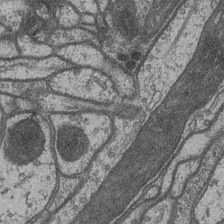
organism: Drosophila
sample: Optic medulla